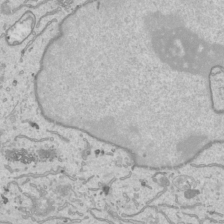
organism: Human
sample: Mitochondria in HCT116 cells